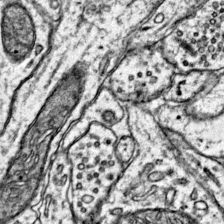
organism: Mouse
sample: Primary visual cortex